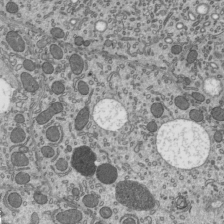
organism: Mouse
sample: Mouse epididymis efferent ductule cilia